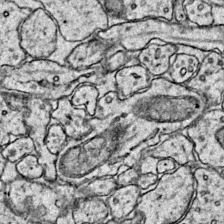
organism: Mouse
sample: Primary visual cortex